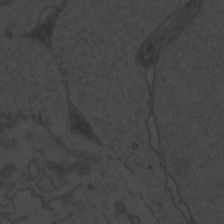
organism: Zebrafish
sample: Macrophage infected with Toxoplasma gondii